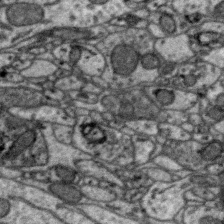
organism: Zebra finch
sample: Brain